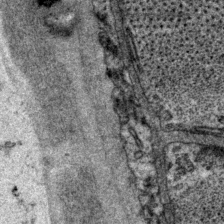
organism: P. pacificus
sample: Pharynx